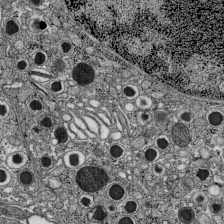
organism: C57BL Mouse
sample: Pancreatic islet